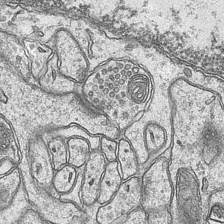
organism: Mouse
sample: CA1 Hippocampus